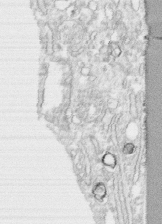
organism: Human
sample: CRL-1474